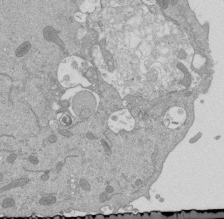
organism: Mouse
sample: ED-1 cell nuclei; centrioles